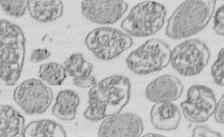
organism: E. coli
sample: Bacterial nucleoid